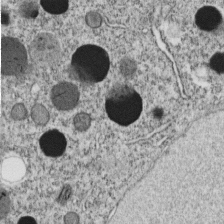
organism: C. elegans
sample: C. elegans embryo early stage